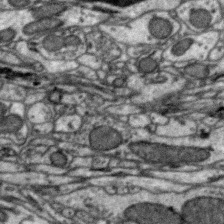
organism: Zebra finch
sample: Brain